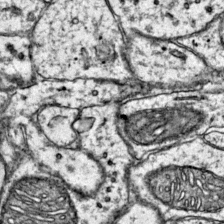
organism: Mouse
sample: Primary visual cortex